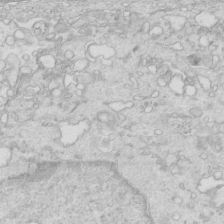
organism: Mouse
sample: Multiciliated cells